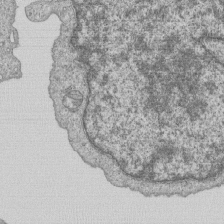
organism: Human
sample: MDA-MB-231 cells